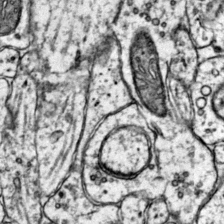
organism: Mouse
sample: Primary visual cortex